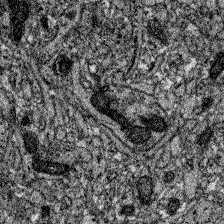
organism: Zebrafish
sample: Larval olfactory bulb